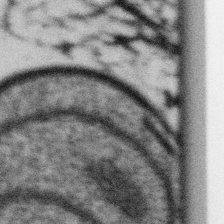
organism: Gemmata obscuriglobus